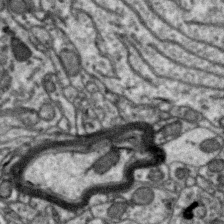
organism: Zebra finch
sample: Brain